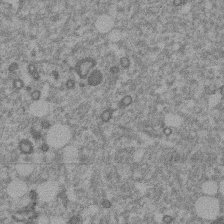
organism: Mouse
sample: Dividing mouse embryo 1 cell stage